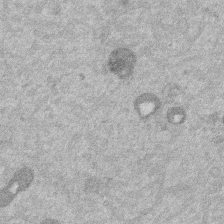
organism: Mouse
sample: Dividing mouse embryo 1 cell stage